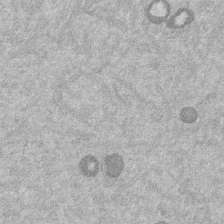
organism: Mouse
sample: Dividing mouse embryo 1 cell stage